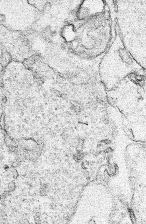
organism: Human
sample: Mitochondria in HCT116 cells